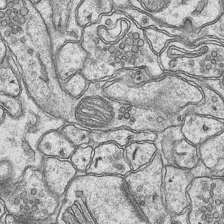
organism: Mouse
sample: CA1 Hippocampus